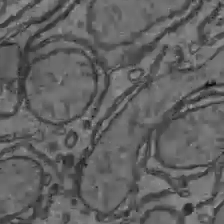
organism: C57BL Mouse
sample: Liver